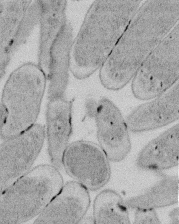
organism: E. coli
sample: Bacterial nucleoid